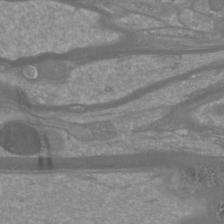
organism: Mouse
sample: Cortical neurons